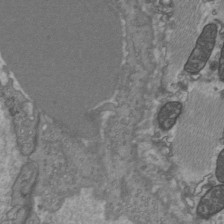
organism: C57BL Mouse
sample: Heart